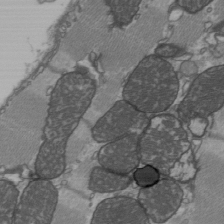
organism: C57BL Mouse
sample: Heart